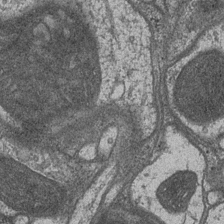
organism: Drosophila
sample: Optic medulla